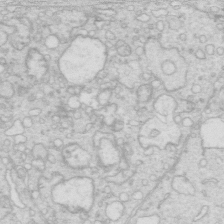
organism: Mouse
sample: Multiciliated cells